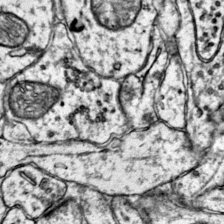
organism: Mouse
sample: Primary visual cortex